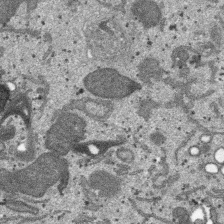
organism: Human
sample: Lung epithelial cells infected with SARS-CoV-2